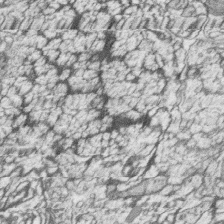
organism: Zebrafish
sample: synaptic ribbons in rod cells and cone cells